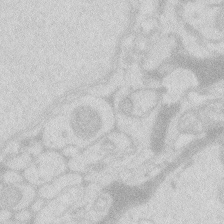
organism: Zebrafish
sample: Macrophage